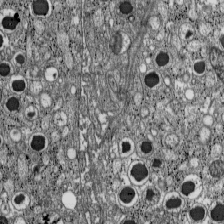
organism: C57BL Mouse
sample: Pancreatic islet